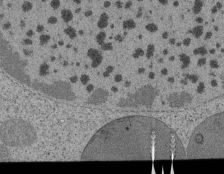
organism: Tetrahymena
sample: Cilia in tetrahymena